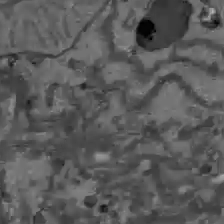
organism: C57BL Mouse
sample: Liver